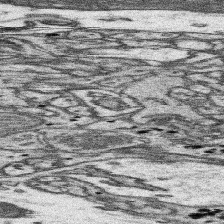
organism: Mouse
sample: Somatosensory cortex neuropil